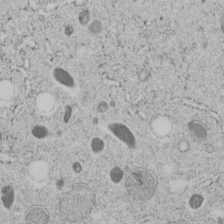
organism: C. elegans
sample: C. elegans embryo early stage